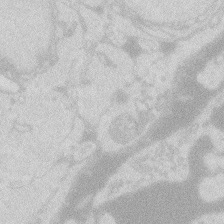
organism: Zebrafish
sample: Macrophage